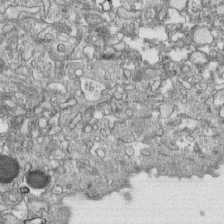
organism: Human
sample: CRL-1474